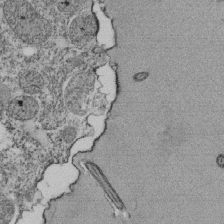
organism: Tetrahymena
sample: Cilia in tetrahymena